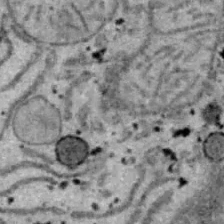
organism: Mouse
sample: Liver from an obese (ob/ob) mouse